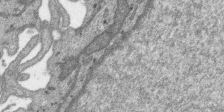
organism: Human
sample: Lung epithelial cells infected with SARS-CoV-2